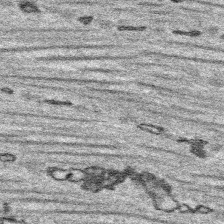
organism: Platynereis dumerilii